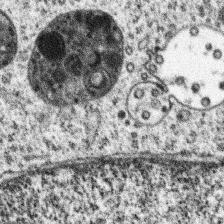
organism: Human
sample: HeLa cells